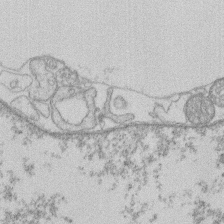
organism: Human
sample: Macrophage cells